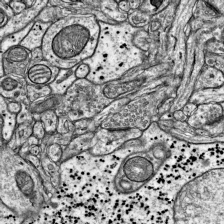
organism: Mouse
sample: Visual Cortex